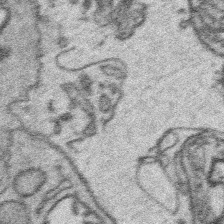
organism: Platynereis dumerilii